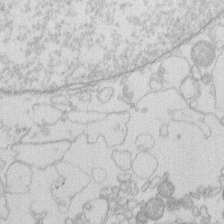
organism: Human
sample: Macrophage cells